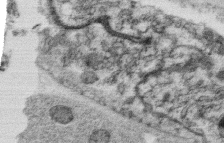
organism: C. elegans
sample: C. elegans oocyte; sperm cells